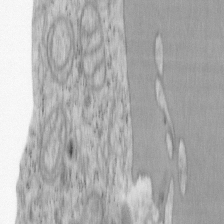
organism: Human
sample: HeLa cells